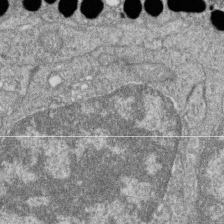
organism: Zebrafish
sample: Cilia; retinal pigment epithelium